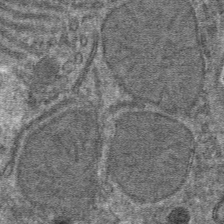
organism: Mouse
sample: Mouse hepatocytes